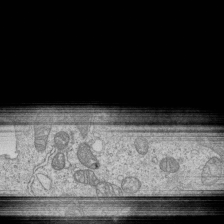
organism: Human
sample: MDA-MB-231 cells